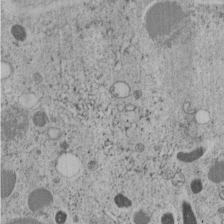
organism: C. elegans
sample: C. elegans embryo early stage